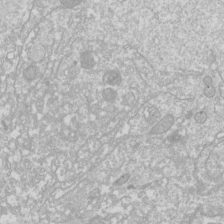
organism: Drosophila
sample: Cell division; meiosis; drosophila spermatocytes